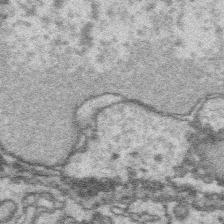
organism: Platynereis dumerilii